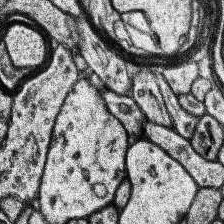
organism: Human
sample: Temporal Lobe